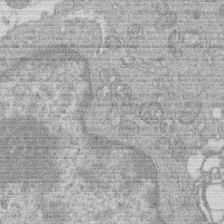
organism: Human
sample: Macrophage cells